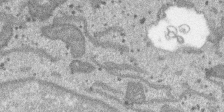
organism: Human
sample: Lung epithelial cells infected with SARS-CoV-2